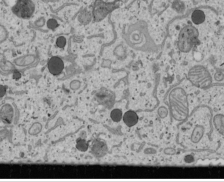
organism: Human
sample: Mitochondria in U2OS cells